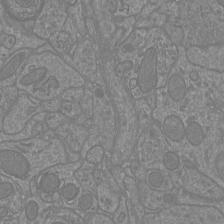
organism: Mouse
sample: Cortical neurons